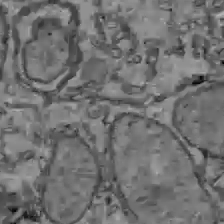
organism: C57BL Mouse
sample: Liver